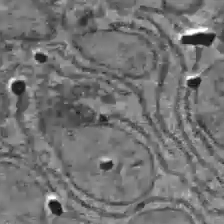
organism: C57BL Mouse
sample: Liver